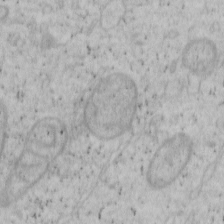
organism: Human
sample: HeLa cells